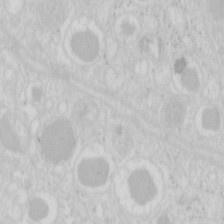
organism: Mouse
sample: Pancreas